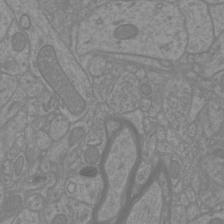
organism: Mouse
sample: Cortical neurons